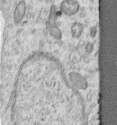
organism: Human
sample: Centriole in RPE cells